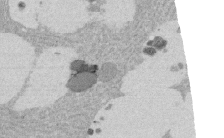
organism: Rat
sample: Salivary granule